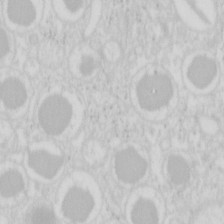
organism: Mouse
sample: Pancreas